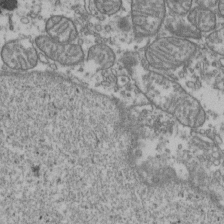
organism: Human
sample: Activated Jurkat CD4+ T cells